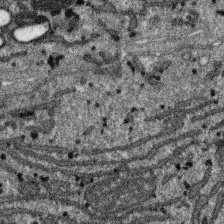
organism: Human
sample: Lung epithelial cells infected with SARS-CoV-2